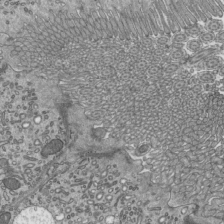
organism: Mouse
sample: Mouse epididymis efferent ductule cilia